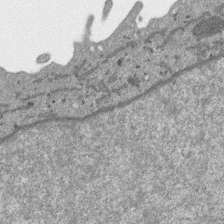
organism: Human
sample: Lung epithelial cells infected with SARS-CoV-2